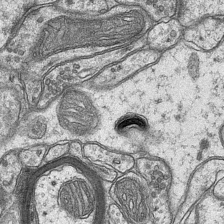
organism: Mouse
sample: CA1 Hippocampus